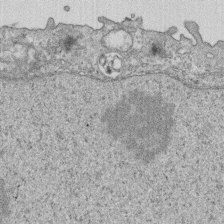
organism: Human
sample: HeLa cell HIV synapse